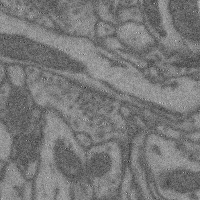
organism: Mouse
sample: Cerebral cortex